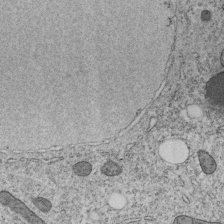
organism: C. elegans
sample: C. elegans embryo early stage